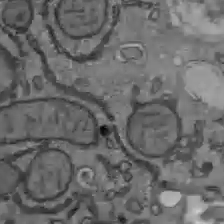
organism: C57BL Mouse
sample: Liver